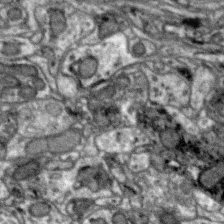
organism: Zebra finch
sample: Brain